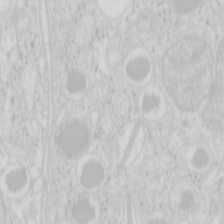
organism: Mouse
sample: Pancreas